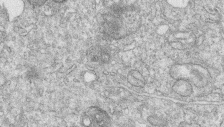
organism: Human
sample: HeLa cell HIV synapse